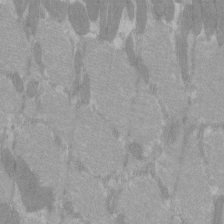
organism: C57BL Mouse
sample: Tibialis anterior muscle cell